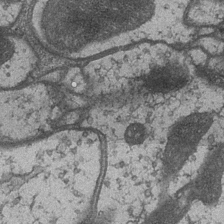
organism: Drosophila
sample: Optic medulla